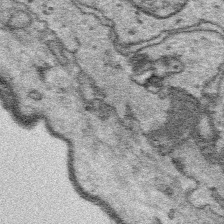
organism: Platynereis dumerilii